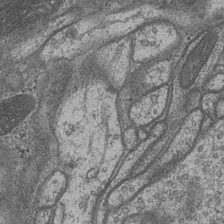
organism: Drosophila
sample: Optic medulla